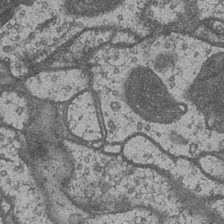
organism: Drosophila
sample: Optic medulla